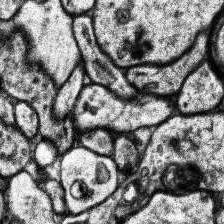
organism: Human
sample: Temporal Lobe